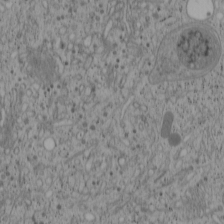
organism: African green monkey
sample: COS-7 cells